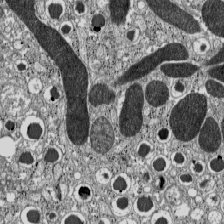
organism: C57BL Mouse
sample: Pancreatic islet